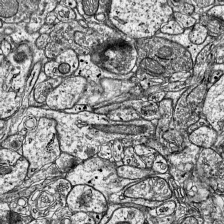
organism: Mouse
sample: Visual Cortex